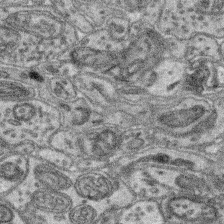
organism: Mouse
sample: Retina